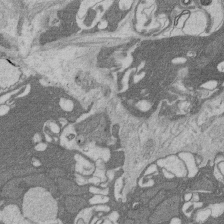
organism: Rat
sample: Salivary granule